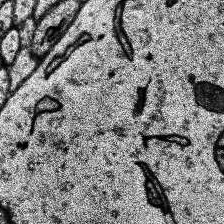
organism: Human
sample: Temporal Lobe